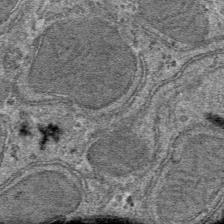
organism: Mouse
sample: Mouse hepatocytes